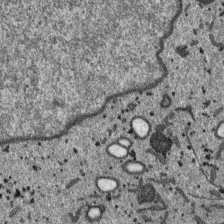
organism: Human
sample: Lung epithelial cells infected with SARS-CoV-2